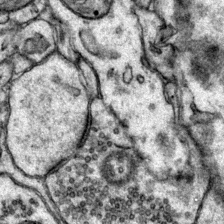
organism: Mouse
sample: Primary visual cortex